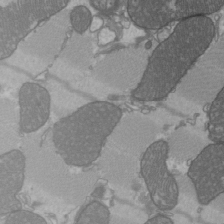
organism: C57BL Mouse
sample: Heart